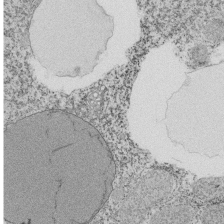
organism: Tetrahymena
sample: Cilia in tetrahymena